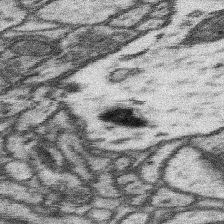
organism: Mouse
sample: Somatosensory cortex neuropil